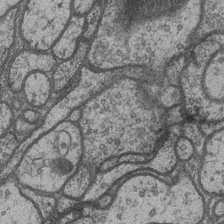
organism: Drosophila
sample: Optic medulla